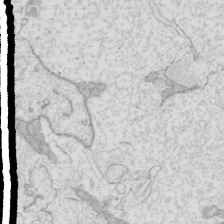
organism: Mouse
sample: Cilia; mouse epididymis